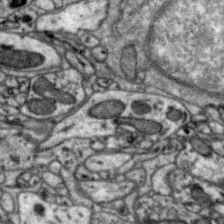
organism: Zebra finch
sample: Brain